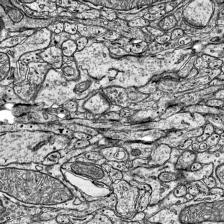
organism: Mouse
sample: Visual Cortex